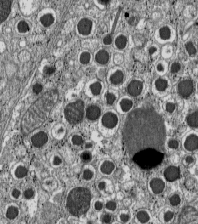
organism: C57BL Mouse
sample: Pancreatic islet